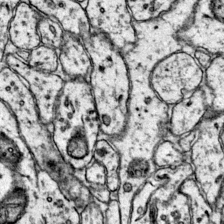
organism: Mouse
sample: Primary visual cortex